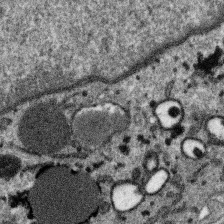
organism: Human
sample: Lung epithelial cells infected with SARS-CoV-2